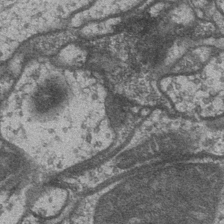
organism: Drosophila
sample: Optic medulla